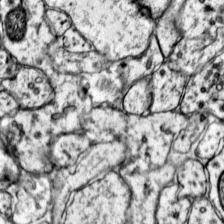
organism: Mouse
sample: Primary visual cortex